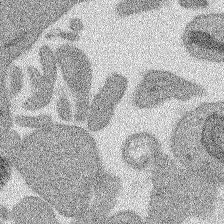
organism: Human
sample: HeLa cells